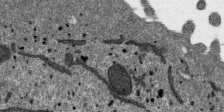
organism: Human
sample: Lung epithelial cells, uninfected (mock) control